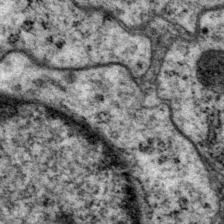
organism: P. pacificus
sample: Pharynx